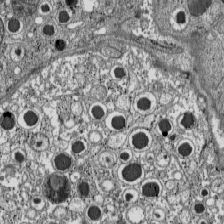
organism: C57BL Mouse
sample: Pancreatic islet